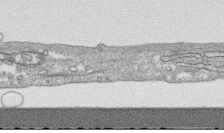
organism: Human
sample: CRL-1474